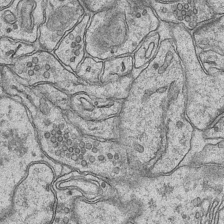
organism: Mouse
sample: CA1 Hippocampus